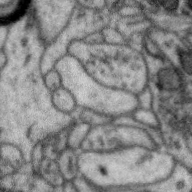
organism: Zebra finch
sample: Brain